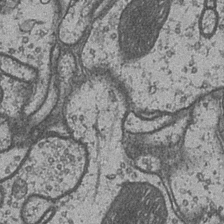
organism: Drosophila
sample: Optic medulla